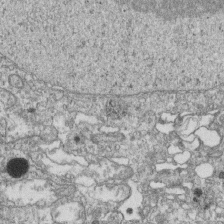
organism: Human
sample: HeLa cell HIV synapse